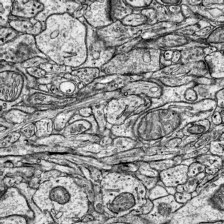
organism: Mouse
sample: Visual Cortex